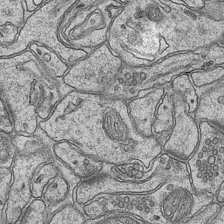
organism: Mouse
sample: CA1 Hippocampus